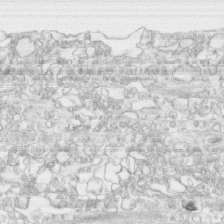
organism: Human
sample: CRL-1474